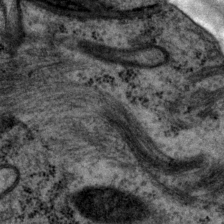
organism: P. pacificus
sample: Pharynx